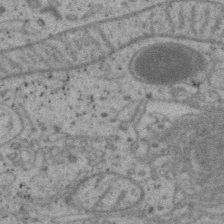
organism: Human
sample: HeLa cells